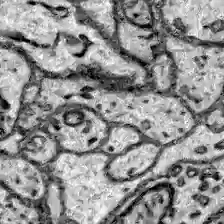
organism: Zebrafish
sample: Brain